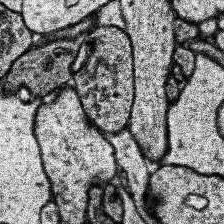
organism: Human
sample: Temporal Lobe